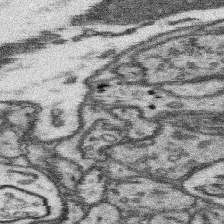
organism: Mouse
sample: Somatosensory cortex neuropil